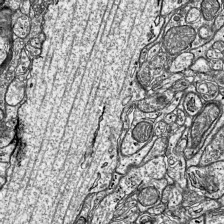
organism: Mouse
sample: Visual Cortex